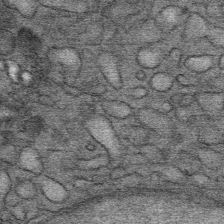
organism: Mouse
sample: Mouse Salivary gland